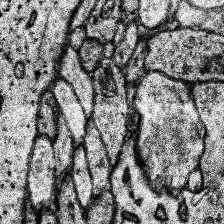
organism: Human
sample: Temporal Lobe